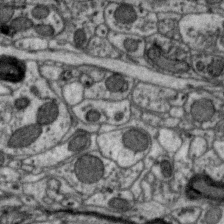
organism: Zebra finch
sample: Brain